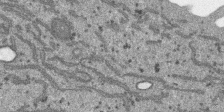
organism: Human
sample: Lung epithelial cells infected with SARS-CoV-2